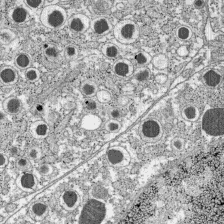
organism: C57BL Mouse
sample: Pancreatic islet